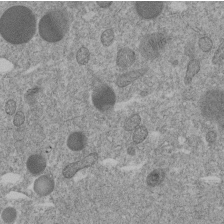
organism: C. elegans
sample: C. elegans embryo early stage